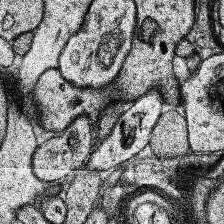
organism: Human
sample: Temporal Lobe